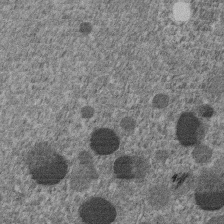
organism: C. elegans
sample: C. elegans embryo early stage